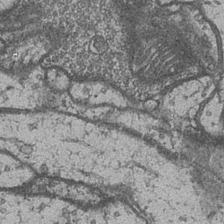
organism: Drosophila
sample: Optic medulla